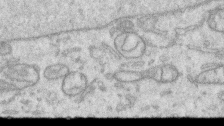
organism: Human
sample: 1205lu cells